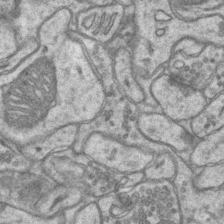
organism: Mouse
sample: CA1 Hippocampus